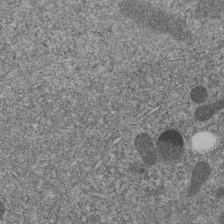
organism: C. elegans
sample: C. elegans embryo early stage